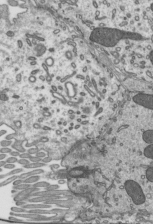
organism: Mouse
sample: Mouse epididymis efferent ductule cilia